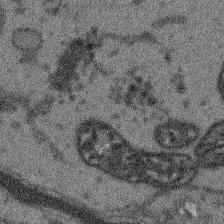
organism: Arabidopsis thaliana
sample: Root tip